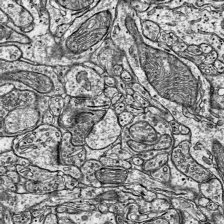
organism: Mouse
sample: Visual Cortex